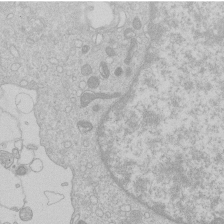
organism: Human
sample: Macrophage cells